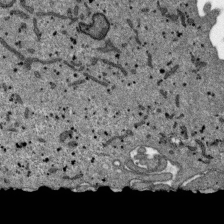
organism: Human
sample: Lung epithelial cells, uninfected (mock) control